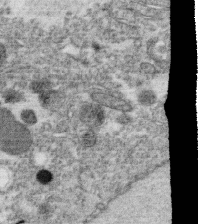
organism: C. elegans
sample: C. elegans oocyte; sperm cells